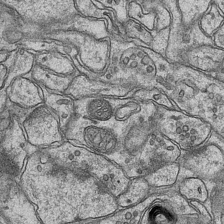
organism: Mouse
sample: CA1 Hippocampus